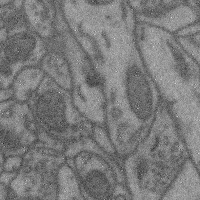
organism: Mouse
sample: Cerebral cortex